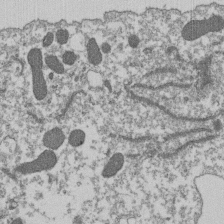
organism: Dictyostelium discoideum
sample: Dictyostelium multivesicular bodies